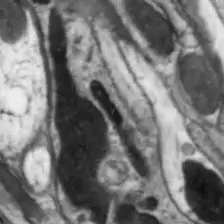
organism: Drosophila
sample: Optic lobe